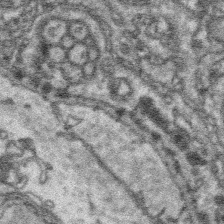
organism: Platynereis dumerilii